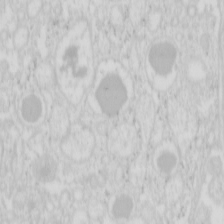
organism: Mouse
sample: Pancreas